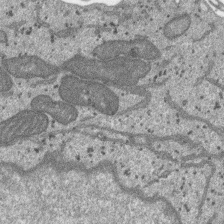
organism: Human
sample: Lung epithelial cells infected with SARS-CoV-2